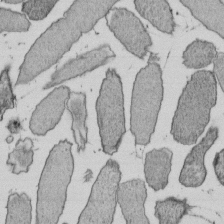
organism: E. coli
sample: Bacterial nucleoid